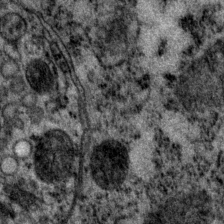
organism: P. pacificus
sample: Pharynx